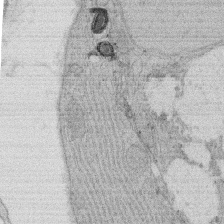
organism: Rat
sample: Salivary granule